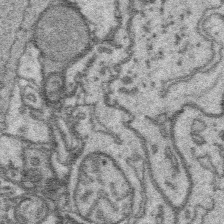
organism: Platynereis dumerilii